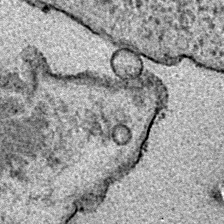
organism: E. coli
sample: E. Coli Bacteria